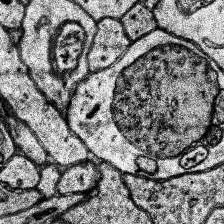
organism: Human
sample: Temporal Lobe